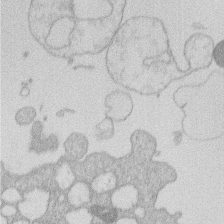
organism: Human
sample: Macrophage cells